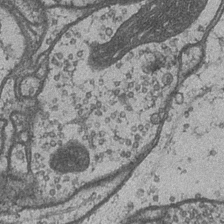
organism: Drosophila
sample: Optic medulla